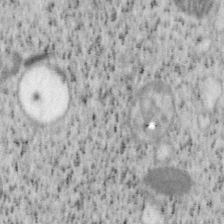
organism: Mouse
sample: OT-I killer T cells with ID8 ovarian cancer cells